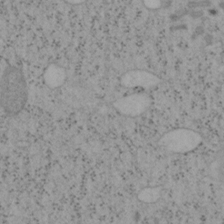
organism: Mouse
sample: OT-I killer T cells with ID8 ovarian cancer cells